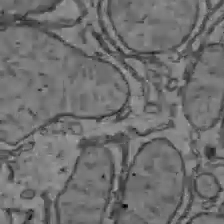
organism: C57BL Mouse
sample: Liver